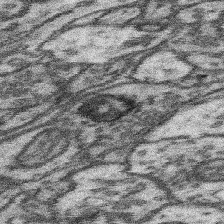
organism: Mouse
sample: Somatosensory cortex neuropil